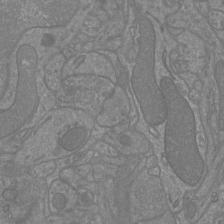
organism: Mouse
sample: Cortical neurons